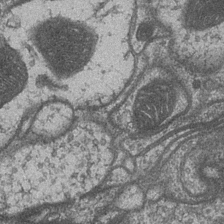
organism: Drosophila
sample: Optic medulla